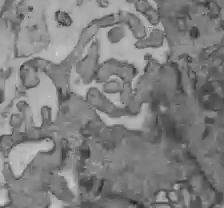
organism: C57BL Mouse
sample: Liver